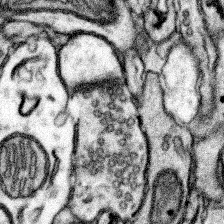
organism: Mouse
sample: Somatosensory cortex neuropil